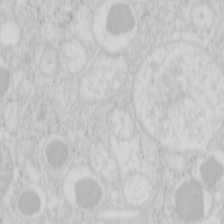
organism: Mouse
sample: Pancreas